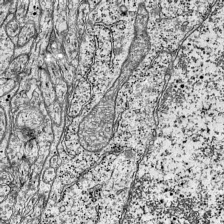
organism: Mouse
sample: Visual Cortex